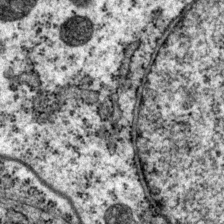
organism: P. pacificus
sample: Pharynx